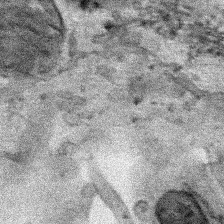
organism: Human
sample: Mitochondria in HCT116 cells